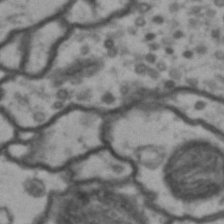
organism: Drosophila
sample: Brain